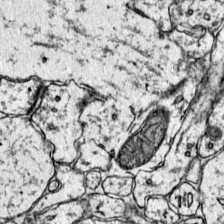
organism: Mouse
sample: Primary visual cortex